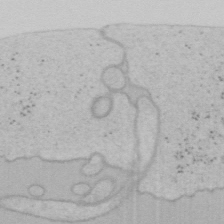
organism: Human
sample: HeLa cells